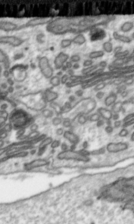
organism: Toxoplasma gondii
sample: Parasites in a vacuole inside a host cell